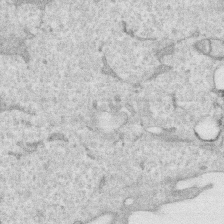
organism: Human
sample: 1205lu cells